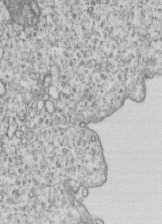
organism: Human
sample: MDA-MB-231 cells